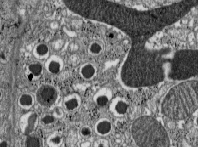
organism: C57BL Mouse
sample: Pancreatic islet